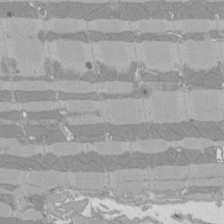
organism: Rat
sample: Left ventricle